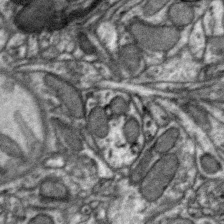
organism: Zebra finch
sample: Brain